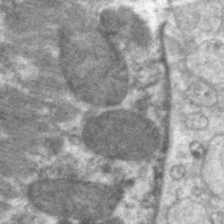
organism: C. elegans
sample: Pharynx